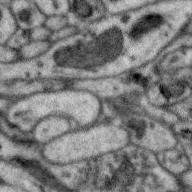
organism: Zebra finch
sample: Brain